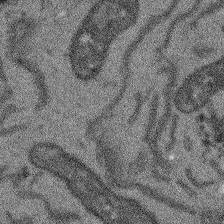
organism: Arabidopsis thaliana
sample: Root tip